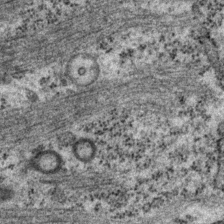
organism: P. pacificus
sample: Pharynx